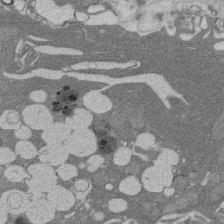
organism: Rat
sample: Salivary granule